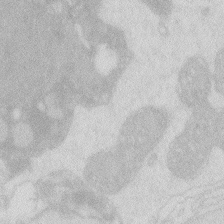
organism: Zebrafish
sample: Macrophage